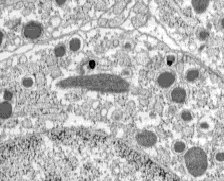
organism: C57BL Mouse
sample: Pancreatic islet